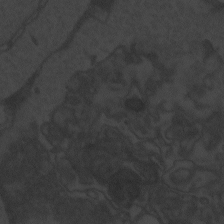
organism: Zebrafish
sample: Macrophage infected with Toxoplasma gondii